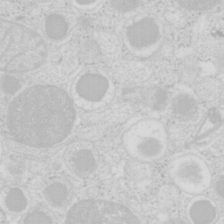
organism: Mouse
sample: Pancreas